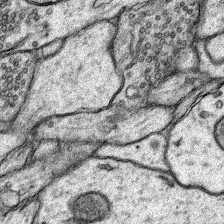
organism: Rat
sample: Hippocampus